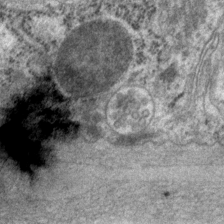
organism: P. pacificus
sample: Pharynx